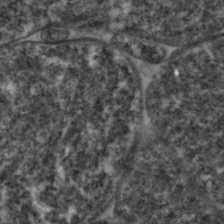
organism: Zebrafish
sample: Zebrafish embryo